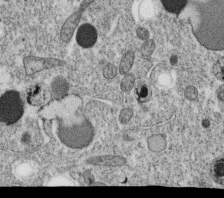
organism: C. elegans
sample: C. elegans oocyte; sperm cells